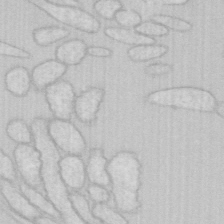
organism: Human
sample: HeLa cells